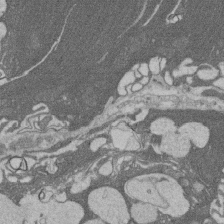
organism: Rat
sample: Salivary granule